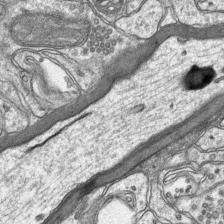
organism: Mouse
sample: CA1 Hippocampus